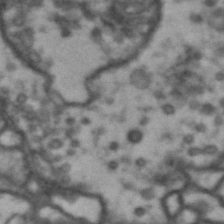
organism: Drosophila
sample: Brain